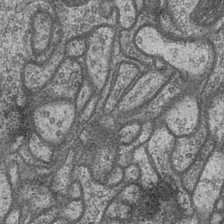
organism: Drosophila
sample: Optic medulla